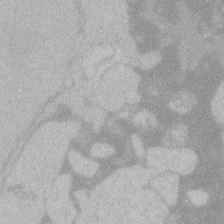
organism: Zebrafish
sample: Macrophage infected with Toxoplasma gondii